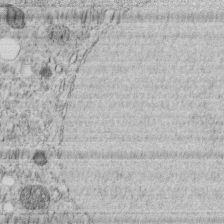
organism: C. elegans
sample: C. elegans embryo early stage